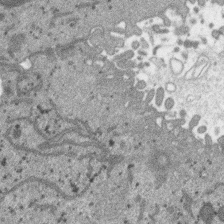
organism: Human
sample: Lung epithelial cells infected with SARS-CoV-2